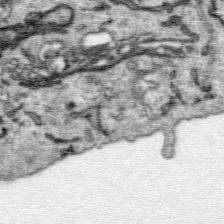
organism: Human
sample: HeLa cells